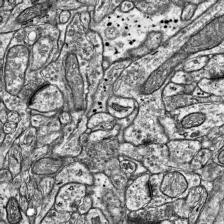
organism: Mouse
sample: Visual Cortex